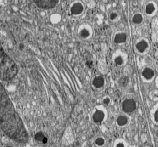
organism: C57BL Mouse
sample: Pancreatic islet